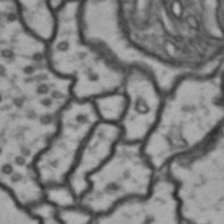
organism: Drosophila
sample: Brain